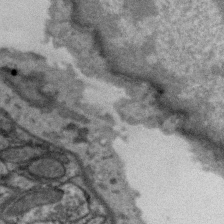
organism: Zebra finch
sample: Brain